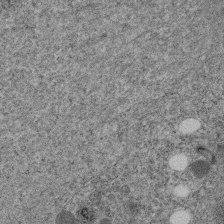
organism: C. elegans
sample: C. elegans embryo early stage